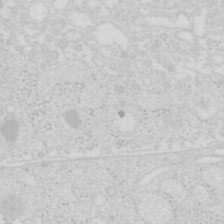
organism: Mouse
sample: Pancreas